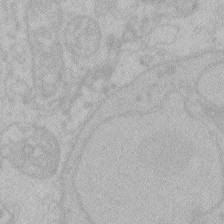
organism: Zebrafish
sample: Macrophage infected with Toxoplasma gondii